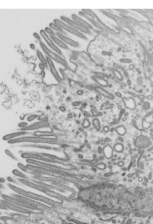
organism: Mouse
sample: Mouse epididymis efferent ductule cilia